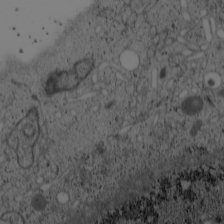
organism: African green monkey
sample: COS-7 cells